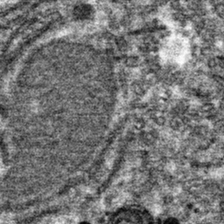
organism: Mouse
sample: Mouse hepatocytes